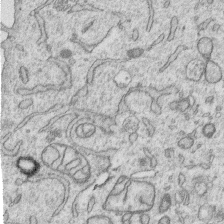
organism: Human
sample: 1205lu cells